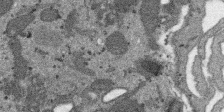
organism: Human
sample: Lung epithelial cells infected with SARS-CoV-2